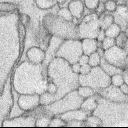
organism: Rabbit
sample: Retina